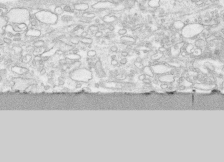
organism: Human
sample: CRL-1474